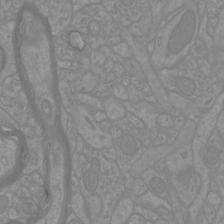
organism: Mouse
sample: Cortical neurons